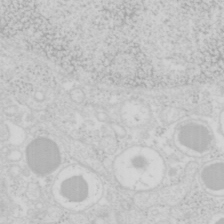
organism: Mouse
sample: Pancreas